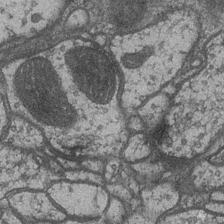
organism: Drosophila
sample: Optic medulla